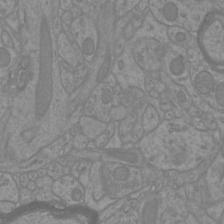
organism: Mouse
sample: Cortical neurons